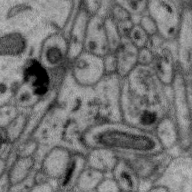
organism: Zebra finch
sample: Brain